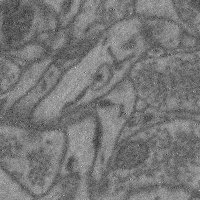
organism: Mouse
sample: Cerebral cortex